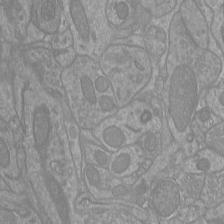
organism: Mouse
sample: Cortical neurons